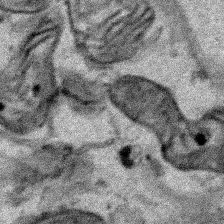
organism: Human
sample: Mitochondria in HCT116 cells